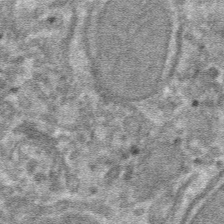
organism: Mouse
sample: Mouse hepatocytes